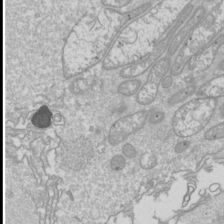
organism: Drosophila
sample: Cell division; meiosis; drosophila spermatocytes